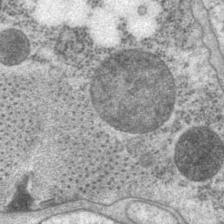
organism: P. pacificus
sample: Pharynx